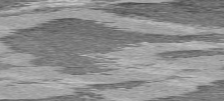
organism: C57BL Mouse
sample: Heart